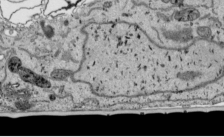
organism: Human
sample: Mitochondria in HCT116 cells